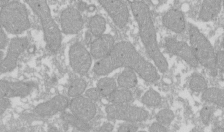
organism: Xenopus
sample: Cilia; centrioles in frog embryo cells